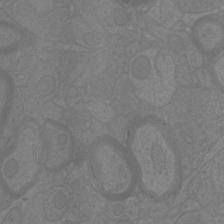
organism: Mouse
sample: Cortical neurons